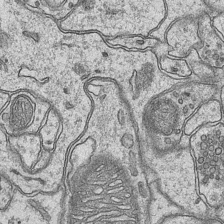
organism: Mouse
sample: CA1 Hippocampus